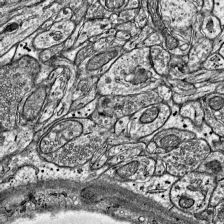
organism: Mouse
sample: Visual Cortex